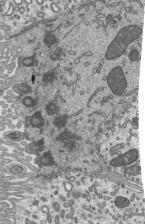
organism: Mouse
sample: Mouse epididymis efferent ductule cilia